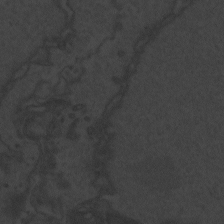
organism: Zebrafish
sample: Macrophage infected with Toxoplasma gondii